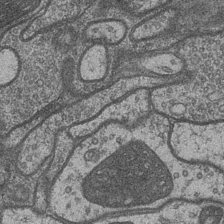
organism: Drosophila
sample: Optic medulla